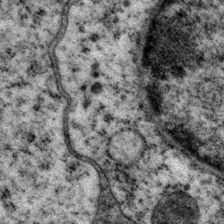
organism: P. pacificus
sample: Pharynx